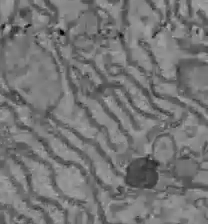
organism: C57BL Mouse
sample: Liver